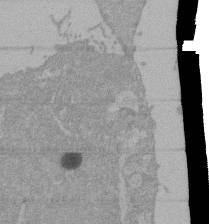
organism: Mouse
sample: ED-1 cell nuclei; centrioles